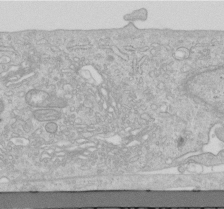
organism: Human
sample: Centriole in RPE cells